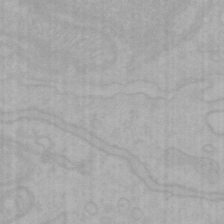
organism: Mouse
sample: Choroid plexus